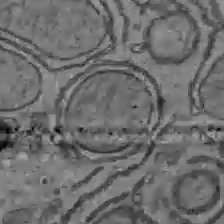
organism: C57BL Mouse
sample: Liver